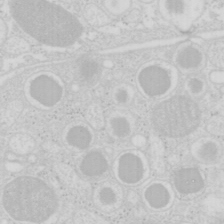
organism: Mouse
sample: Pancreas